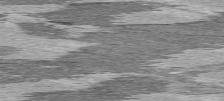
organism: C57BL Mouse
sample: Heart